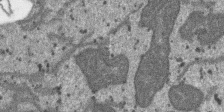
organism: Human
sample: Lung epithelial cells infected with SARS-CoV-2